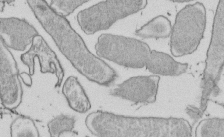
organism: E. coli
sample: Bacterial nucleoid